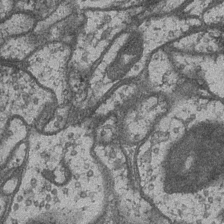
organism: Drosophila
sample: Optic medulla